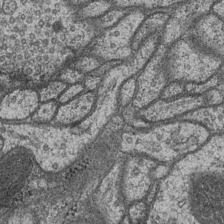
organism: Drosophila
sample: Optic medulla